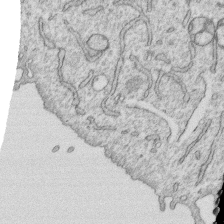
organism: Human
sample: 1205lu cells